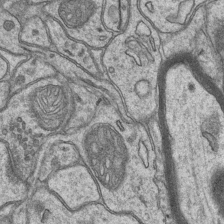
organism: Mouse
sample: CA1 Hippocampus